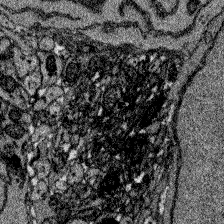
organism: Zebrafish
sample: Larval olfactory bulb